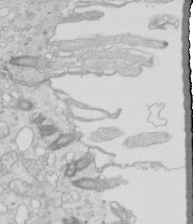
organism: Mouse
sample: Multiciliated cells